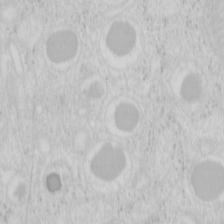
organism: Mouse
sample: Pancreas